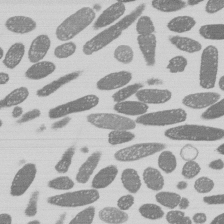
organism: E. coli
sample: Bacterial nucleoid